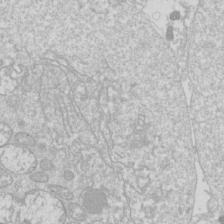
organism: Drosophila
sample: Cell division; meiosis; drosophila spermatocytes